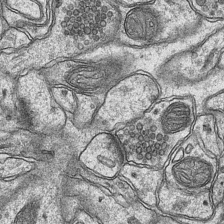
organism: Mouse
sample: CA1 Hippocampus